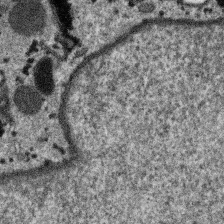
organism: Human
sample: Lung epithelial cells infected with SARS-CoV-2